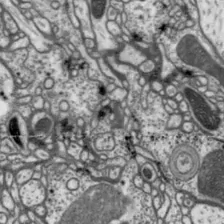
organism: Drosophila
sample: Protocerebral bridge